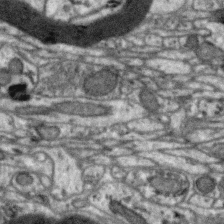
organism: Zebra finch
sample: Brain